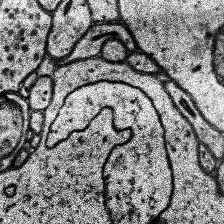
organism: Human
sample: Temporal Lobe